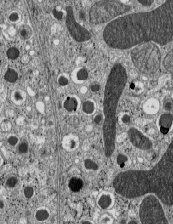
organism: C57BL Mouse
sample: Pancreatic islet